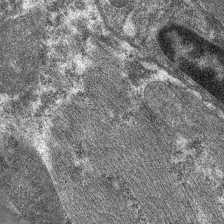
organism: C. elegans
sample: Pharynx